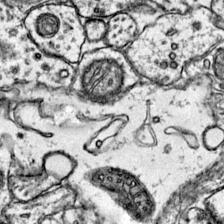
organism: Mouse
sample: Primary visual cortex